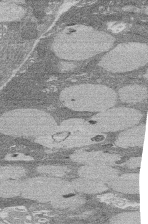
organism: Rat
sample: Salivary granule